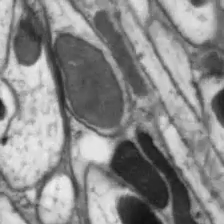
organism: Drosophila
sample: Optic lobe